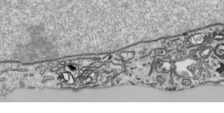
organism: Human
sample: Mitochondria in HCT116 cells